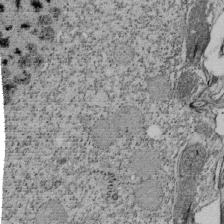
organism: Tetrahymena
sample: Cilia in tetrahymena